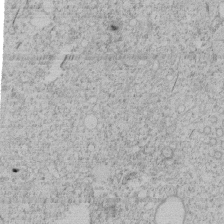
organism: Tetrahymena